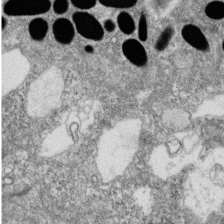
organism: Zebrafish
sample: Cilia; retinal pigment epithelium